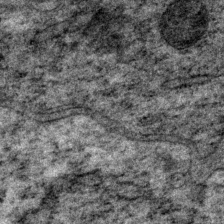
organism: P. pacificus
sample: Pharynx